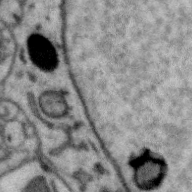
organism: Zebra finch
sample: Brain